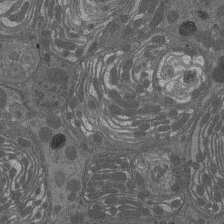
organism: Drosophila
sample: Antenna